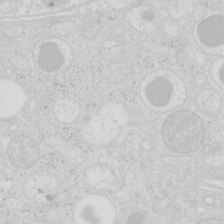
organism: Mouse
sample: Pancreas